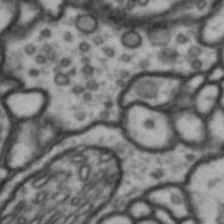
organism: Drosophila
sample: Brain